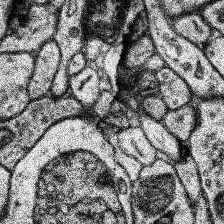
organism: Human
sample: Temporal Lobe